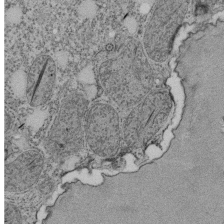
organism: Tetrahymena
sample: Cilia in tetrahymena